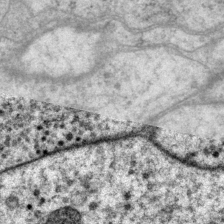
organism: P. pacificus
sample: Pharynx